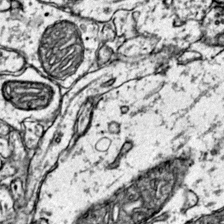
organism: Mouse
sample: Primary visual cortex